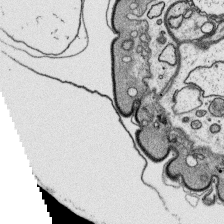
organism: Platynereis dumerilii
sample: Parapodia